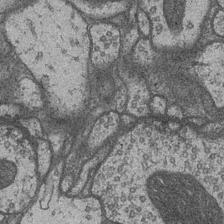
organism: Drosophila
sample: Optic medulla